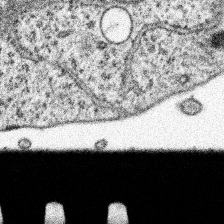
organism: Human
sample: HeLa cells